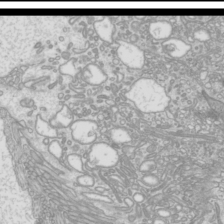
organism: Mouse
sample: Cilia; mouse epididymis